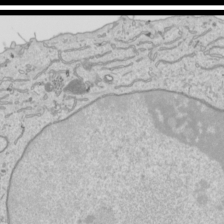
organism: Human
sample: Mitochondria in HCT116 cells